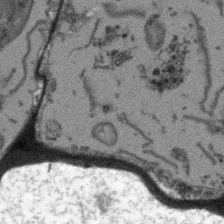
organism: Arabidopsis thaliana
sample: Root tip